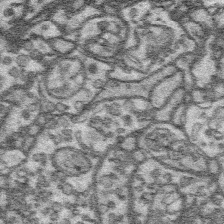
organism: Platynereis dumerilii